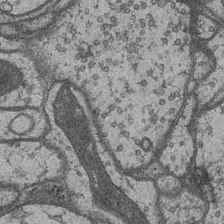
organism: Drosophila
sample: Optic medulla